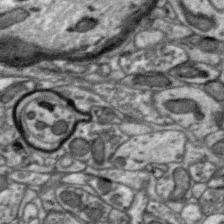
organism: Zebra finch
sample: Brain